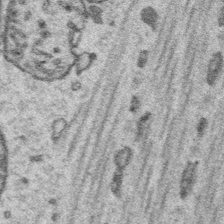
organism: Platynereis dumerilii